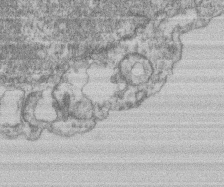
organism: Mouse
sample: T cell stromal cell synapse